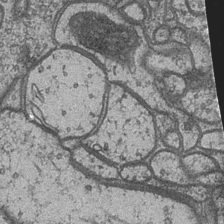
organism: Drosophila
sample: Optic medulla